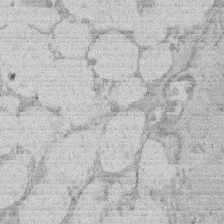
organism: Rat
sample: Salivary granule